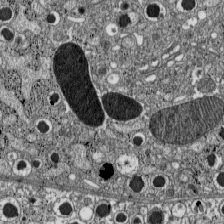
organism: C57BL Mouse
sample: Pancreatic islet